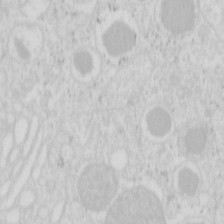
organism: Mouse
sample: Pancreas